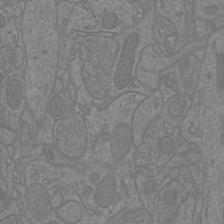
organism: Mouse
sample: Cortical neurons